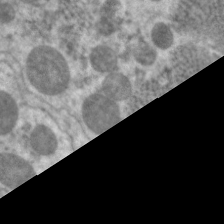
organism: C. elegans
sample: Pharynx